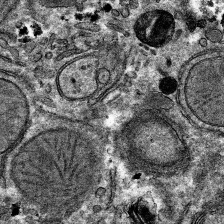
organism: Mouse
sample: Mouse hepatocytes